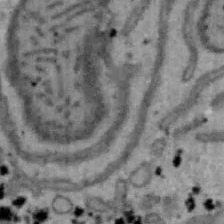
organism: Mouse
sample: Liver